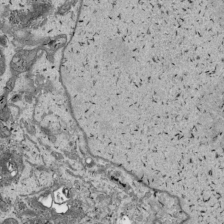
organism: Human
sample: Mitochondria in HCT116 cells